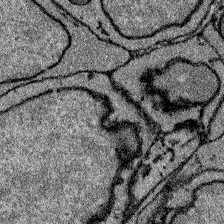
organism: Zebrafish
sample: Larval olfactory bulb